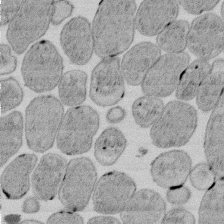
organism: E. coli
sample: Bacterial nucleoid